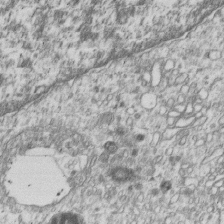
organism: Human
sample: MDA-MB-231 cells